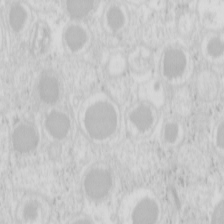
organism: Mouse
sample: Pancreas